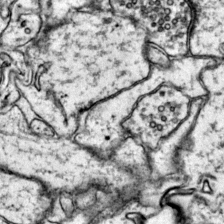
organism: Mouse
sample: Primary visual cortex